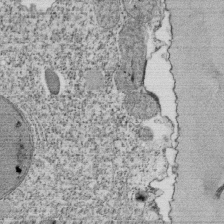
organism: Tetrahymena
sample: Cilia in tetrahymena